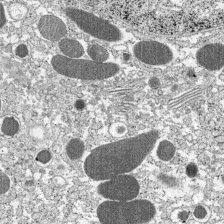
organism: C57BL Mouse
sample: Pancreatic islet